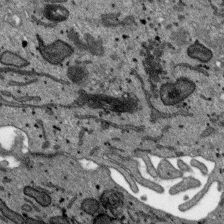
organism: Human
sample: Lung epithelial cells, uninfected (mock) control